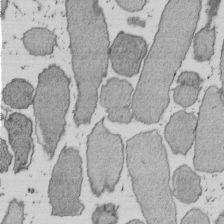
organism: E. coli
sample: Bacterial nucleoid